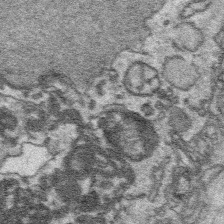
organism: Platynereis dumerilii